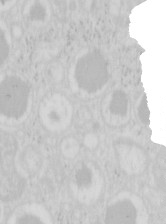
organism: Mouse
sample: Pancreas